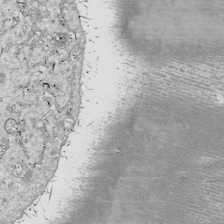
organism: Drosophila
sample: Cell division; meiosis; drosophila spermatocytes